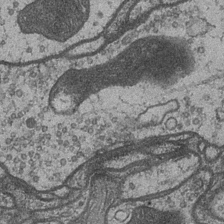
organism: Drosophila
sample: Optic medulla